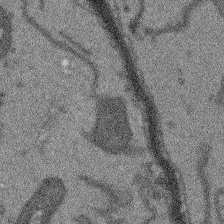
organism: Arabidopsis thaliana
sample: Root tip